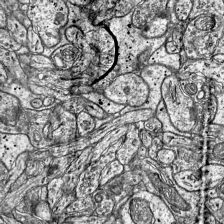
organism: Mouse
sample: Visual Cortex